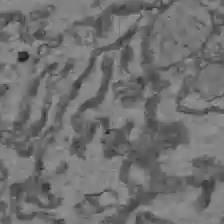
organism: C57BL Mouse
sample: Liver